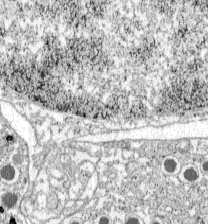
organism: C57BL Mouse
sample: Pancreatic islet